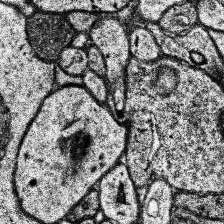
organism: Human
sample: Temporal Lobe